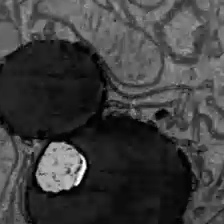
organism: C57BL Mouse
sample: Liver